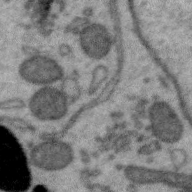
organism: Zebra finch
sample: Brain